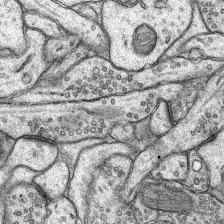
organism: Rat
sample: Hippocampus